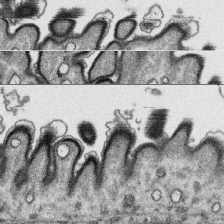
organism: Platynereis dumerilii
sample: Parapodia